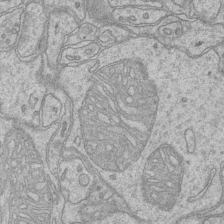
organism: Mouse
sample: CA1 Hippocampus